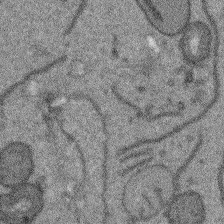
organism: Arabidopsis thaliana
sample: Root tip